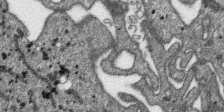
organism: Human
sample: Lung epithelial cells infected with SARS-CoV-2